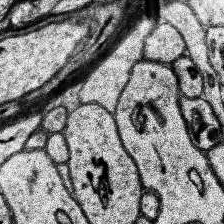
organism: Human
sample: Temporal Lobe